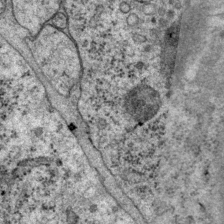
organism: P. pacificus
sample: Pharynx